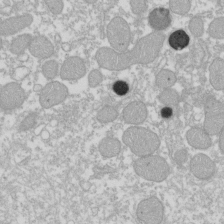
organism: Xenopus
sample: Cilia; centrioles in frog embryo cells